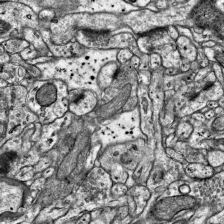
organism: Mouse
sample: Visual Cortex